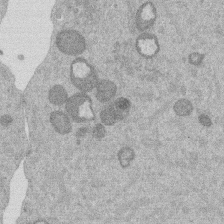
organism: Mouse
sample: Dividing mouse embryo 1 cell stage